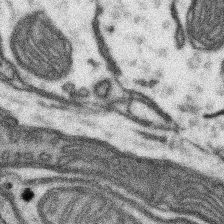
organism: Mouse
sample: Somatosensory cortex neuropil